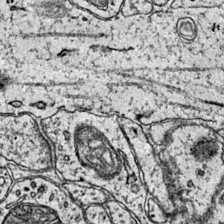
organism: Mouse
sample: Primary visual cortex